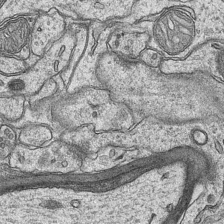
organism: Mouse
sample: CA1 Hippocampus